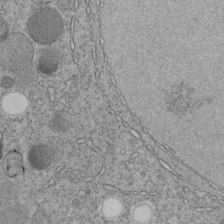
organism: C. elegans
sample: C. elegans embryo early stage